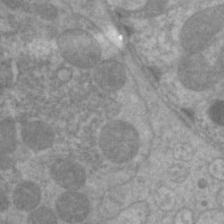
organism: C. elegans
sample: Pharynx